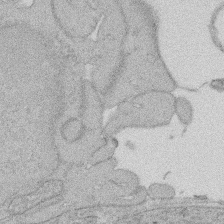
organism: Rat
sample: Salivary granule